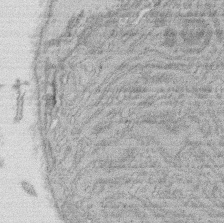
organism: Rat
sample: Salivary granule